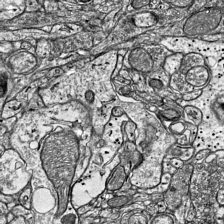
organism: Mouse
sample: Visual Cortex